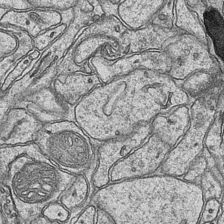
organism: Mouse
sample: CA1 Hippocampus